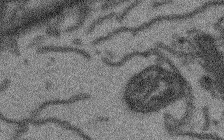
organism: Arabidopsis thaliana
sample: Root tip